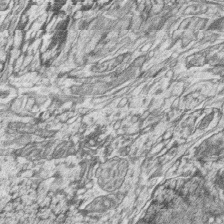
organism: Zebrafish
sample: synaptic ribbons in rod cells and cone cells